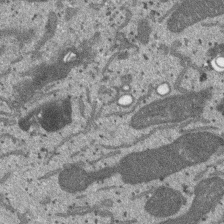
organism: Human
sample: Lung epithelial cells infected with SARS-CoV-2